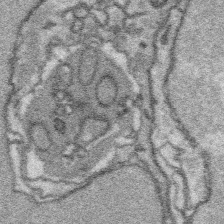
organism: Platynereis dumerilii